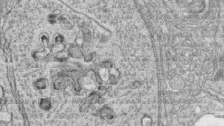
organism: Zebrafish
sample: synaptic ribbons in rod cells and cone cells